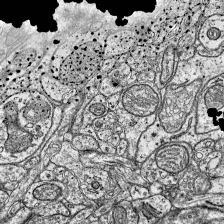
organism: Mouse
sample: Visual Cortex